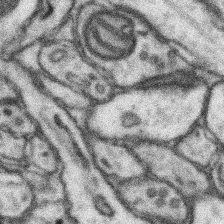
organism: Mouse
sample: Somatosensory cortex neuropil